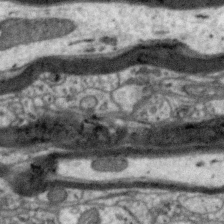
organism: Zebra finch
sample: Brain